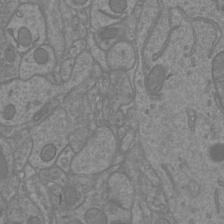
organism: Mouse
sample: Cortical neurons